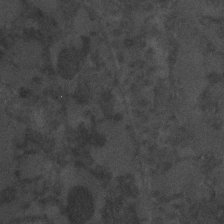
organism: C. elegans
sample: C. elegans embryo